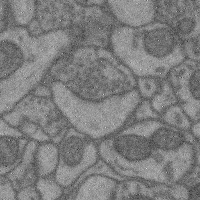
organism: Mouse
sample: Cerebral cortex